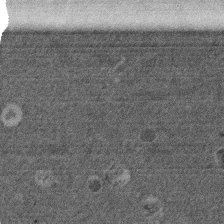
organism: Mouse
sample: Dividing mouse embryo 1 cell stage